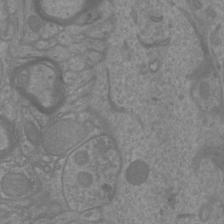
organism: Mouse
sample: Cortical neurons